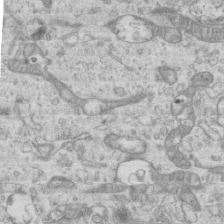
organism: Mouse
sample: Centriole in ependymal cells